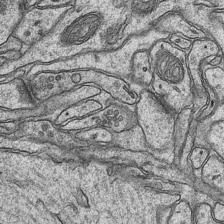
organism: Mouse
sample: CA1 Hippocampus